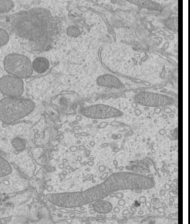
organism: Mouse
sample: Cilia; mouse epididymis